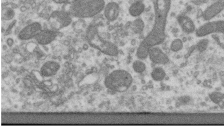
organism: Human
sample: Centriole in RPE cells